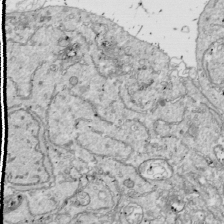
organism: Drosophila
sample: Cell division; meiosis; drosophila spermatocytes